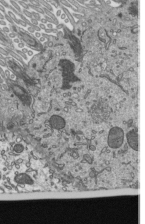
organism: Mouse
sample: Mouse epididymis efferent ductule cilia